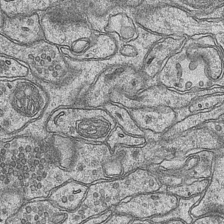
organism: Mouse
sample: CA1 Hippocampus